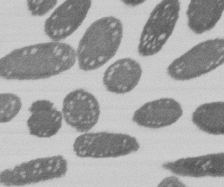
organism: E. coli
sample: Bacterial nucleoid